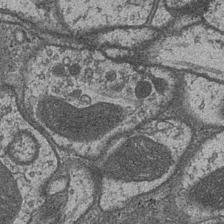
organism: Drosophila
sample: Optic medulla